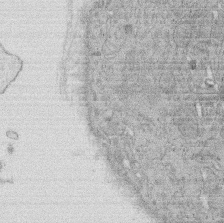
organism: Rat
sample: Salivary granule